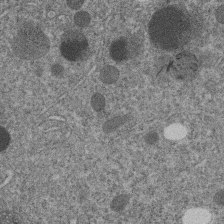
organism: C. elegans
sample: C. elegans embryo early stage